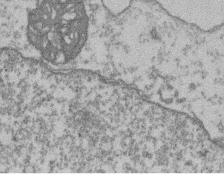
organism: Mouse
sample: T cell stromal cell synapse